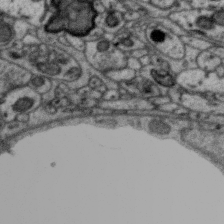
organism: Zebra finch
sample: Brain